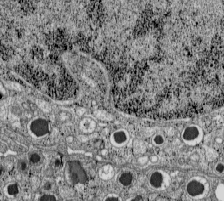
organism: C57BL Mouse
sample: Pancreatic islet